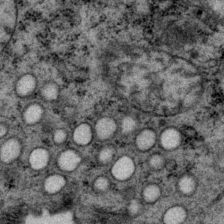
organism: P. pacificus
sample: Pharynx